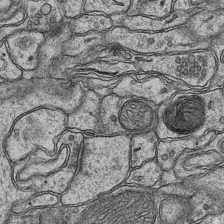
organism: Mouse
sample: CA1 Hippocampus